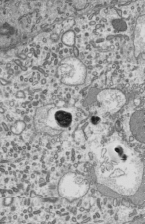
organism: Mouse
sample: Mouse epididymis efferent ductule cilia